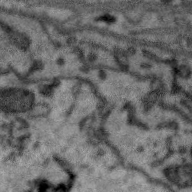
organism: Zebra finch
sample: Brain